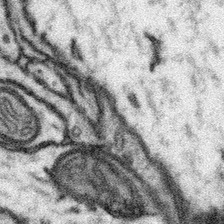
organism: Mouse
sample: Somatosensory cortex neuropil